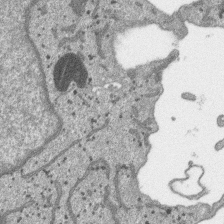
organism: Human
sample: Lung epithelial cells infected with SARS-CoV-2